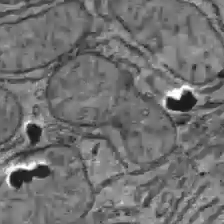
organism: C57BL Mouse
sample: Liver